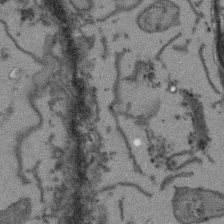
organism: Arabidopsis thaliana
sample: Root tip